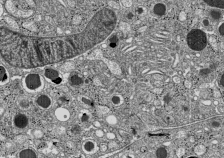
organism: C57BL Mouse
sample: Pancreatic islet